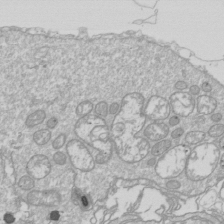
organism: Drosophila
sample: Cell division; meiosis; drosophila spermatocytes